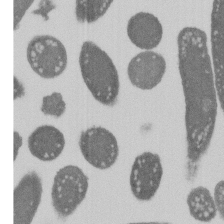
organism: E. coli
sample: Bacterial nucleoid